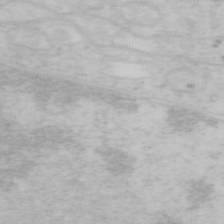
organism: Mouse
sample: OT-I killer T cells with ID8 ovarian cancer cells